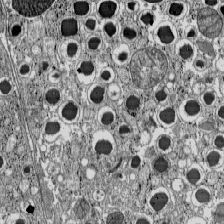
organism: C57BL Mouse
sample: Pancreatic islet